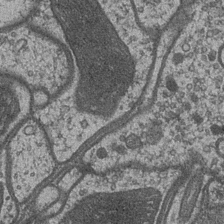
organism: Drosophila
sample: Optic medulla